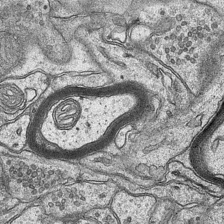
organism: Mouse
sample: CA1 Hippocampus